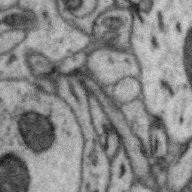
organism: Zebra finch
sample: Brain